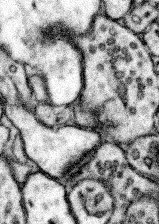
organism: Mouse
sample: Somatosensory cortex neuropil